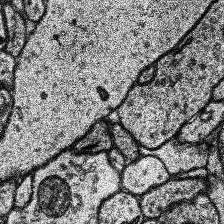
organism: Human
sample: Temporal Lobe